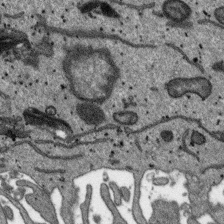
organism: Human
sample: Lung epithelial cells, uninfected (mock) control